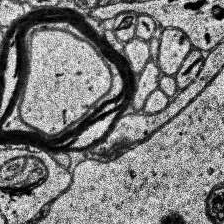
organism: Human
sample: Temporal Lobe